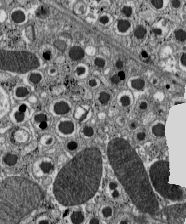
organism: C57BL Mouse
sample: Pancreatic islet